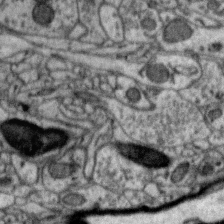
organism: Zebra finch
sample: Brain